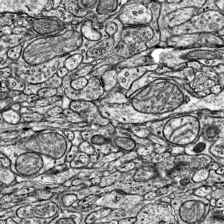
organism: Mouse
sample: Visual Cortex